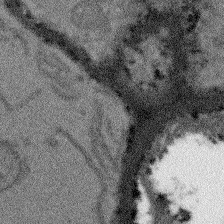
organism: Arabidopsis thaliana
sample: Root tip